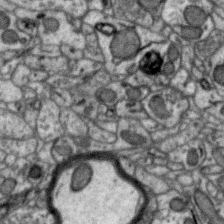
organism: Zebra finch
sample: Brain